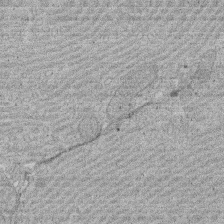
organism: Rat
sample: Salivary granule